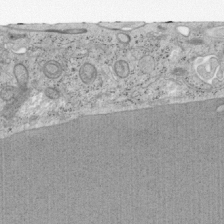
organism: Human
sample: HeLa cells